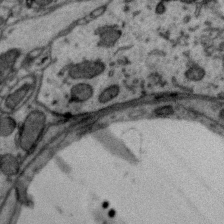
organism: Zebra finch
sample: Brain